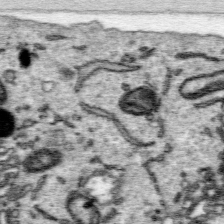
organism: Human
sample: HeLa cells